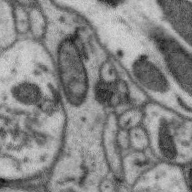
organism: Zebra finch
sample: Brain